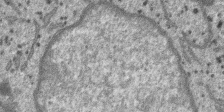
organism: Human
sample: Lung epithelial cells infected with SARS-CoV-2